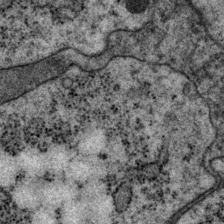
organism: P. pacificus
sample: Pharynx